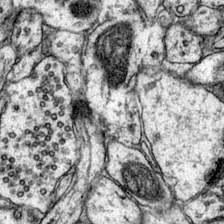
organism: Mouse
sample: Primary visual cortex